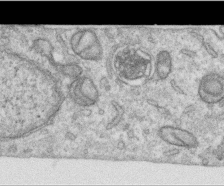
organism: Human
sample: Centriole in RPE cells